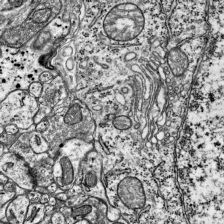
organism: Mouse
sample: Visual Cortex